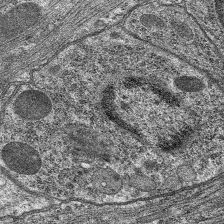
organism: C. elegans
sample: Pharynx